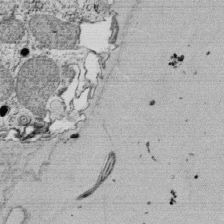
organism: Tetrahymena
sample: Cilia in tetrahymena